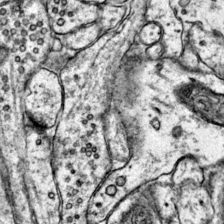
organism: Mouse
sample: Primary visual cortex